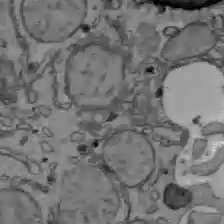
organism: C57BL Mouse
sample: Liver